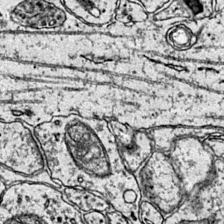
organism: Mouse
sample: Primary visual cortex